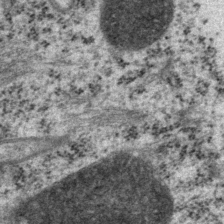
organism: P. pacificus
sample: Pharynx